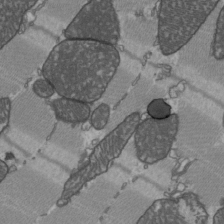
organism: C57BL Mouse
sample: Heart